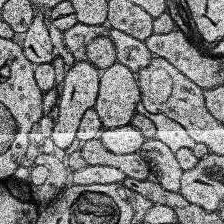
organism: Human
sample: Temporal Lobe